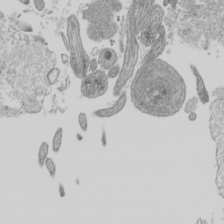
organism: Mouse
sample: Cilia; mouse epididymis